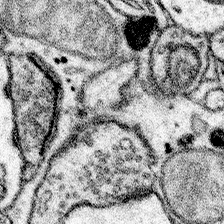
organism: Mouse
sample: Somatosensory cortex neuropil